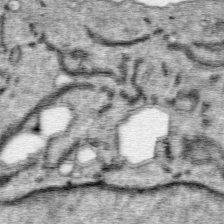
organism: Human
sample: HeLa cells